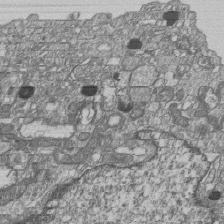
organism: Human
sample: MDA-MB-231 cells